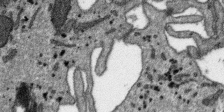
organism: Human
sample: Lung epithelial cells, uninfected (mock) control